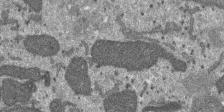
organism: Human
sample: Lung epithelial cells infected with SARS-CoV-2